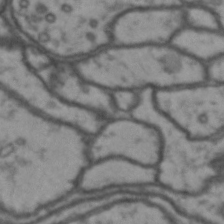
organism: Drosophila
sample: Brain